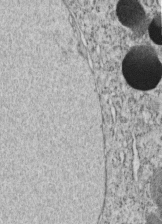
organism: C. elegans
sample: C. elegans embryo early stage